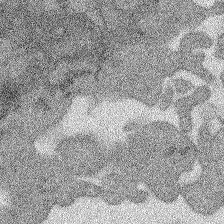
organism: Human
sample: HeLa cells